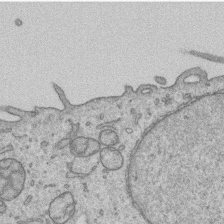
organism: Human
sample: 1205lu cells